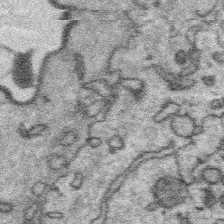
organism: Platynereis dumerilii